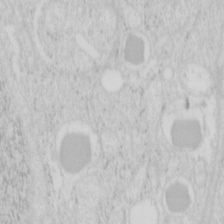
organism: Mouse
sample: Pancreas